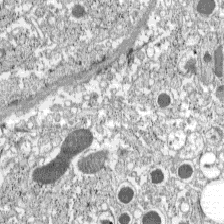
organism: C57BL Mouse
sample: Pancreatic islet